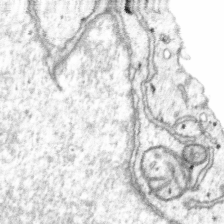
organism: Human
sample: HeLa cells